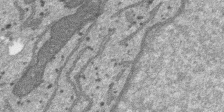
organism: Human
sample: Lung epithelial cells infected with SARS-CoV-2